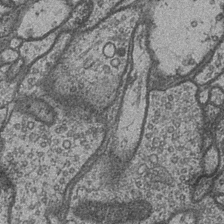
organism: Drosophila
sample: Optic medulla